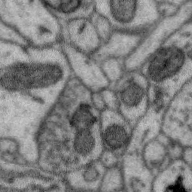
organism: Zebra finch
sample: Brain